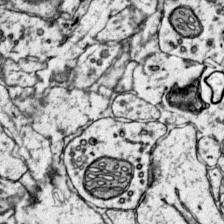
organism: Mouse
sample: Primary visual cortex